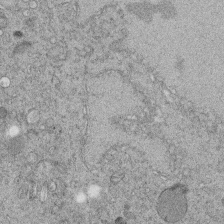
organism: C. elegans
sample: C. elegans embryo early stage